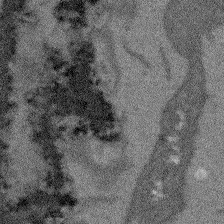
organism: Arabidopsis thaliana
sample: Root tip